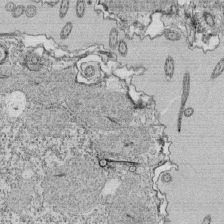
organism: Tetrahymena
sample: Cilia in tetrahymena